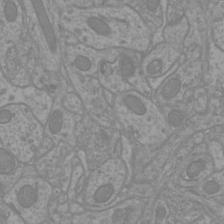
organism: Mouse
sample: Cortical neurons